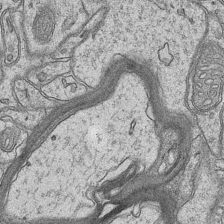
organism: Mouse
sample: CA1 Hippocampus